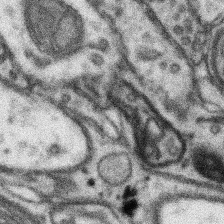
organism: Mouse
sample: Somatosensory cortex neuropil